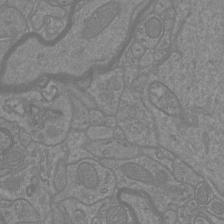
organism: Mouse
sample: Cortical neurons